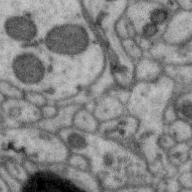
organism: Zebra finch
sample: Brain